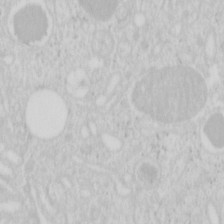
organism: Mouse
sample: Pancreas